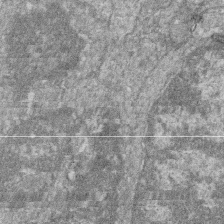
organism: Zebrafish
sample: Cilia; retinal pigment epithelium